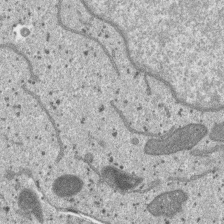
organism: Human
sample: Lung epithelial cells infected with SARS-CoV-2